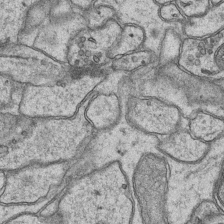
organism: Mouse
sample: CA1 Hippocampus